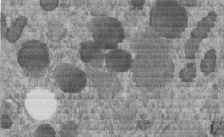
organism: C. elegans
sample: C. elegans embryo early stage